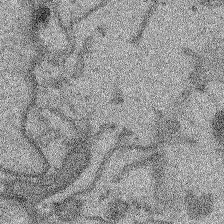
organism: Human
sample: HeLa cells